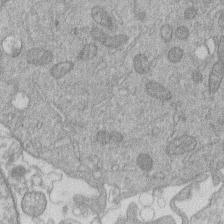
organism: Human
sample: Macrophage cells